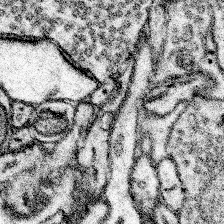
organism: Mouse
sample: Somatosensory cortex neuropil